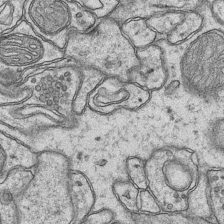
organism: Mouse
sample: CA1 Hippocampus